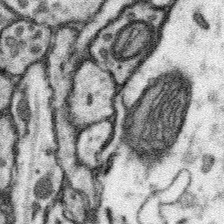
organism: Mouse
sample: Somatosensory cortex neuropil